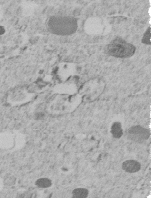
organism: C. elegans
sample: C. elegans embryo early stage